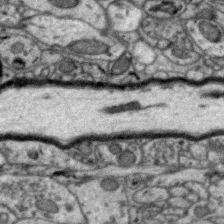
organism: Zebra finch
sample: Brain